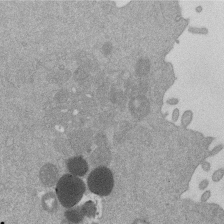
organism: Mouse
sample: Dividing mouse embryo 1 cell stage